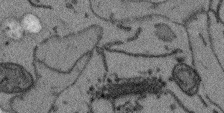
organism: Arabidopsis thaliana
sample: Root tip